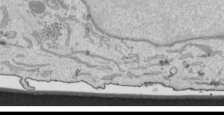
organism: Human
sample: Mitochondria in HCT116 cells